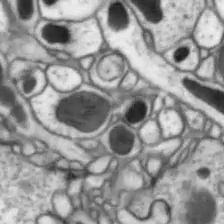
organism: Drosophila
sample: Optic lobe